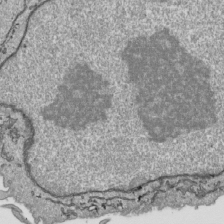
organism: Human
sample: Mitochondria in HCT116 cells